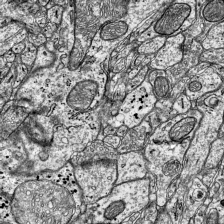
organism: Mouse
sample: Visual Cortex